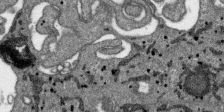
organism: Human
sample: Lung epithelial cells, uninfected (mock) control